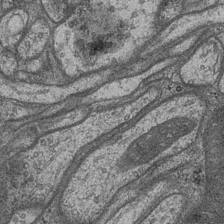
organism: Drosophila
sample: Optic medulla